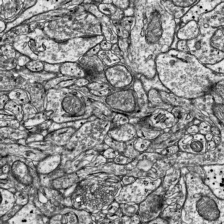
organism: Mouse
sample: Visual Cortex